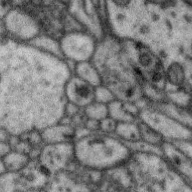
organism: Zebra finch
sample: Brain